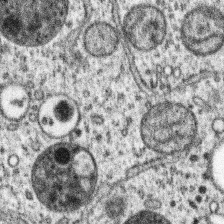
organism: Human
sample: HeLa cells